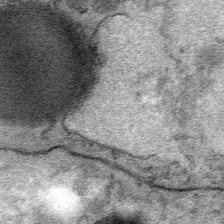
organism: Mouse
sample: Mouse Salivary gland